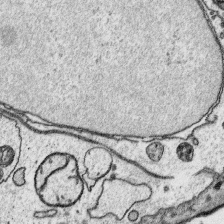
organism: Platynereis dumerilii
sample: Parapodia